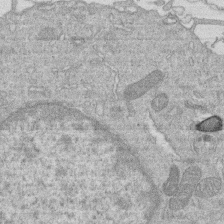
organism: Human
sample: Macrophage cells